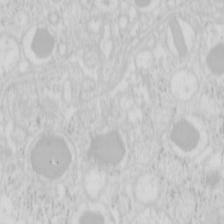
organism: Mouse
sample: Pancreas